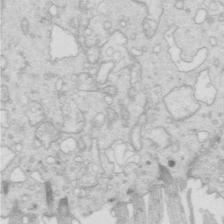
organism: Mouse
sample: Multiciliated cells